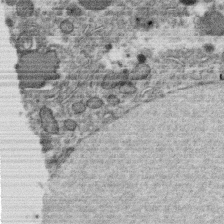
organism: C. elegans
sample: C. elegans oocyte; sperm cells